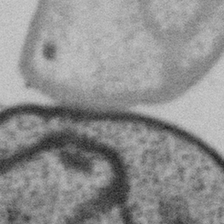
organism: Gemmata obscuriglobus